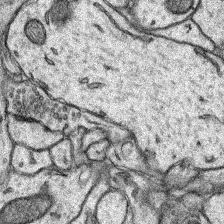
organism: Rat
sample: Hippocampus